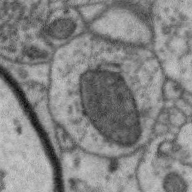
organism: Zebra finch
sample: Brain